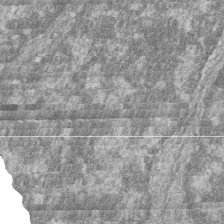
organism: Zebrafish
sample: Cilia; retinal pigment epithelium